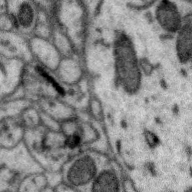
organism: Zebra finch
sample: Brain